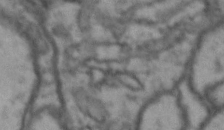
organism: Drosophila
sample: Brain